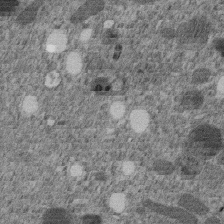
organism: C. elegans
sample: C. elegans embryo early stage